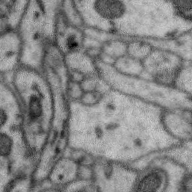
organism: Zebra finch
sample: Brain